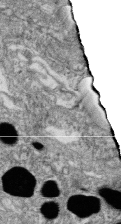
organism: Zebrafish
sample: Cilia; retinal pigment epithelium